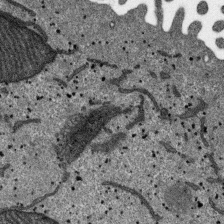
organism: Human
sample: Lung epithelial cells, uninfected (mock) control